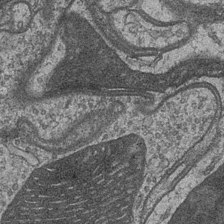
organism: Drosophila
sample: Optic medulla